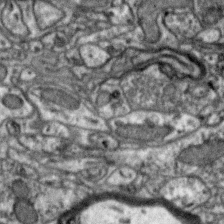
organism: Zebra finch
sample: Brain